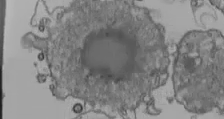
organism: Human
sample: Jurkat E6-1 and CD4 cells